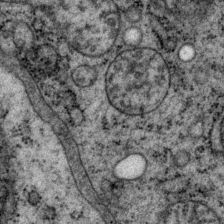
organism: P. pacificus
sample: Pharynx